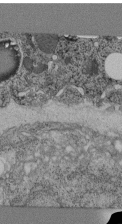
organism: C. elegans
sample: C. elegans pharynx